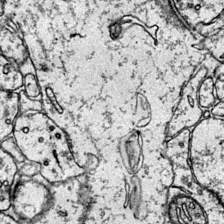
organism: Mouse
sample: Primary visual cortex